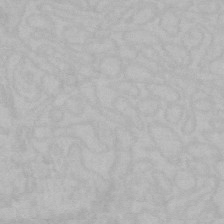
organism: Mouse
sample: Choroid plexus